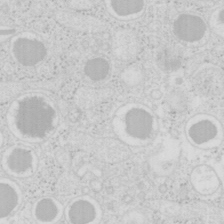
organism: Mouse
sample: Pancreas